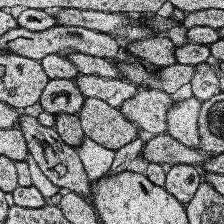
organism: Human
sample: Temporal Lobe